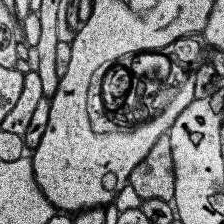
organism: Human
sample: Temporal Lobe